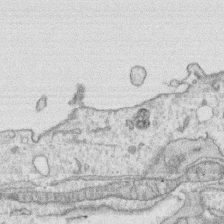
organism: Human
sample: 1205lu cells